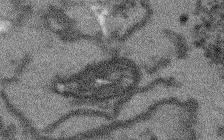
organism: Arabidopsis thaliana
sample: Root tip